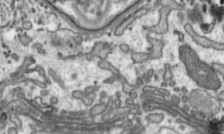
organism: Toxoplasma gondii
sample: Parasites in a vacuole inside a host cell